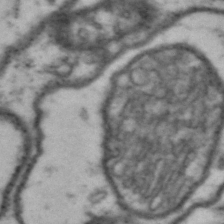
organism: Drosophila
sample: Brain